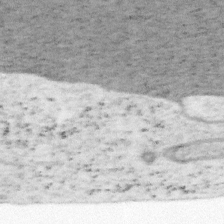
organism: Mouse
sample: OT-I killer T cells with ID8 ovarian cancer cells